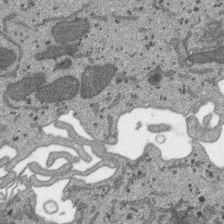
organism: Human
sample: Lung epithelial cells infected with SARS-CoV-2